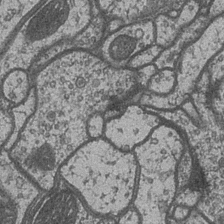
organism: Drosophila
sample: Optic medulla